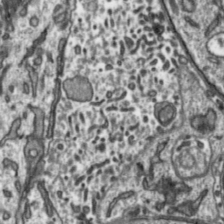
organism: Toxoplasma gondii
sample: Parasites in a vacuole inside a host cell